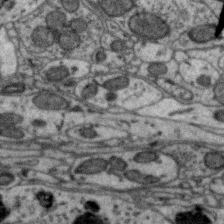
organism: Zebra finch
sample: Brain